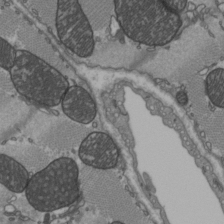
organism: C57BL Mouse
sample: Heart